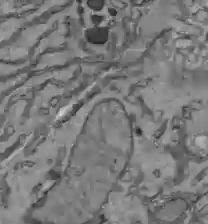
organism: C57BL Mouse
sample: Liver